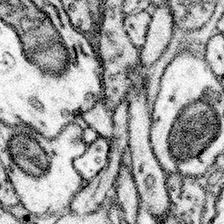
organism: Mouse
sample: Somatosensory cortex neuropil